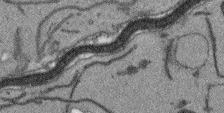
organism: Arabidopsis thaliana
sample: Root tip